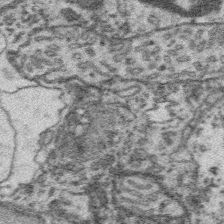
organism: Platynereis dumerilii